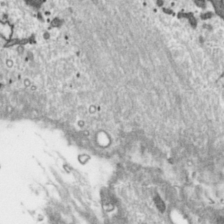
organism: Toxoplasma gondii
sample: Parasites in a vacuole inside a host cell